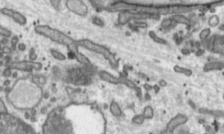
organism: Toxoplasma gondii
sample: Parasites in a vacuole inside a host cell